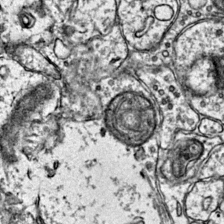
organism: Mouse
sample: Primary visual cortex